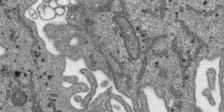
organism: Human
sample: Lung epithelial cells infected with SARS-CoV-2